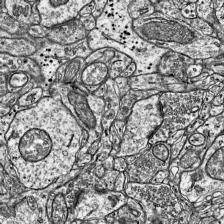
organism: Mouse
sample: Visual Cortex